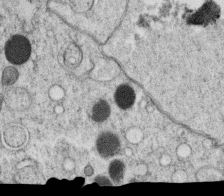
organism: C. elegans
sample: C. elegans oocyte; sperm cells